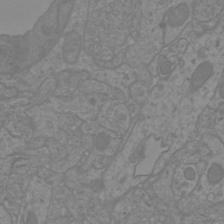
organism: Mouse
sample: Cortical neurons